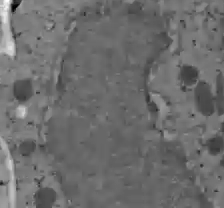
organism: C57BL Mouse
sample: Liver